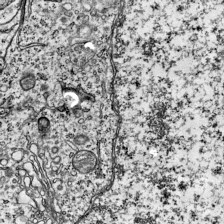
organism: Mouse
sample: Visual Cortex